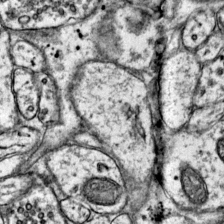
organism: Mouse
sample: Primary visual cortex